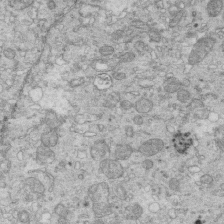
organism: Mouse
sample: Multiciliated cells